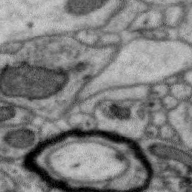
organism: Zebra finch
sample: Brain